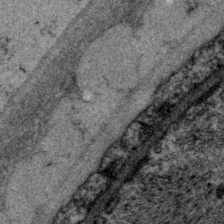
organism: P. pacificus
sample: Pharynx